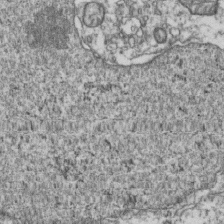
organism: Human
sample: Activated Jurkat CD4+ T cells